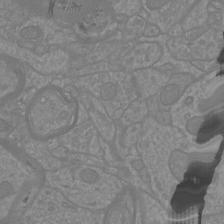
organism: Mouse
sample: Cortical neurons